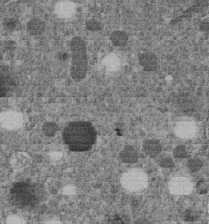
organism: C. elegans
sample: C. elegans embryo early stage